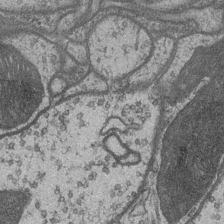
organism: Drosophila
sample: Optic medulla